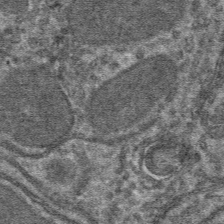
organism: Mouse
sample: Mouse hepatocytes